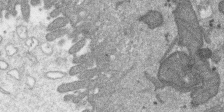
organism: Human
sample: Lung epithelial cells infected with SARS-CoV-2